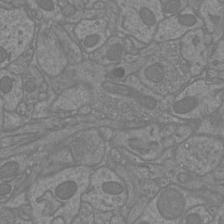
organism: Mouse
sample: Cortical neurons